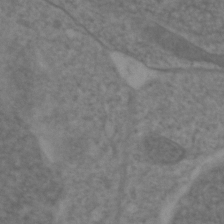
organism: Zebrafish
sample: Zebrafish embryo